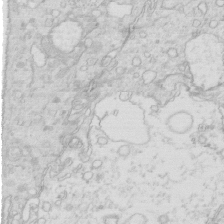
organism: Mouse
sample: Multiciliated cells